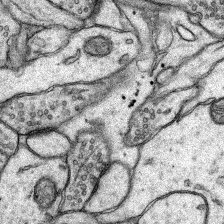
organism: Rat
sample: Hippocampus